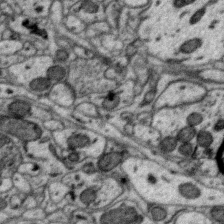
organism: Zebra finch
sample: Brain